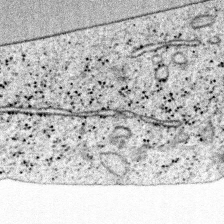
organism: Human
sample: HeLa cells